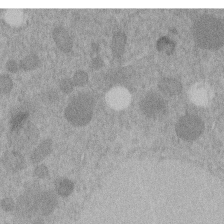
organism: C. elegans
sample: C. elegans embryo early stage